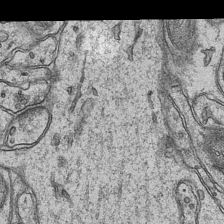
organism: Mouse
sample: CA1 Hippocampus